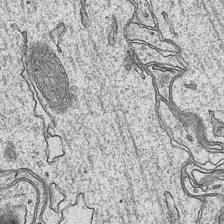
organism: Mouse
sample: CA1 Hippocampus